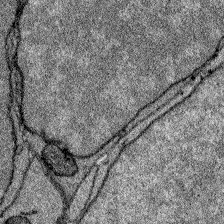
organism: Zebrafish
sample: Larval olfactory bulb